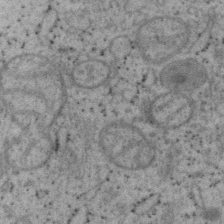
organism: Human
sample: HeLa cells